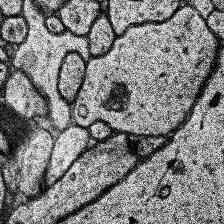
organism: Human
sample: Temporal Lobe